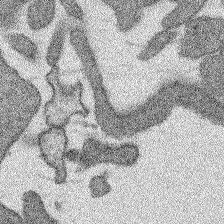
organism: Human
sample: HeLa cells